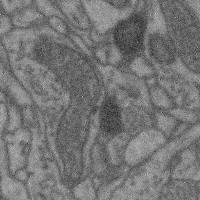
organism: Mouse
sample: Cerebral cortex